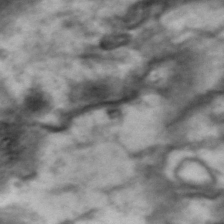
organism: Drosophila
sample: Brain